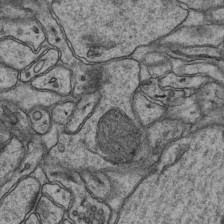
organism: Mouse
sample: CA1 Hippocampus